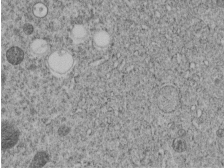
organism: C. elegans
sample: C. elegans embryo early stage